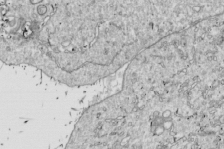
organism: Drosophila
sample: Cell division; meiosis; drosophila spermatocytes